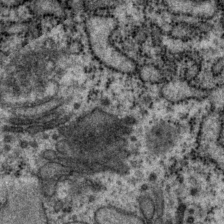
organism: P. pacificus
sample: Pharynx